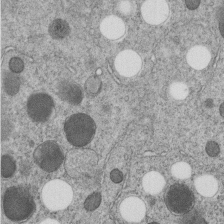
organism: C. elegans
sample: C. elegans embryo early stage